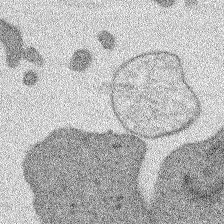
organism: Human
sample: HeLa cells